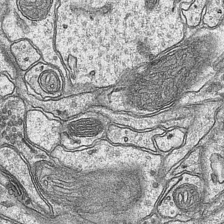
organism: Mouse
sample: CA1 Hippocampus